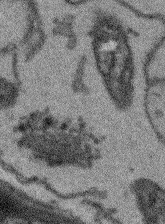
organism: Arabidopsis thaliana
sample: Root tip